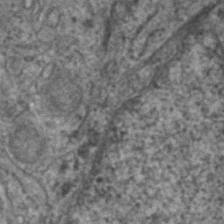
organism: Human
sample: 1205lu cells